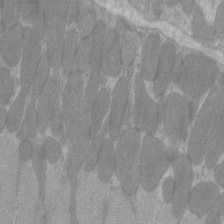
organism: C57BL Mouse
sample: Tibialis anterior muscle cell